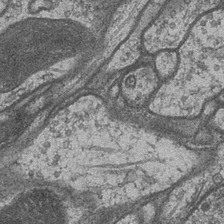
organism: Drosophila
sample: Optic medulla